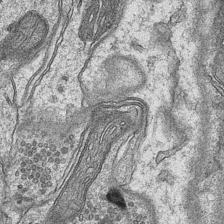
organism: Mouse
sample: CA1 Hippocampus